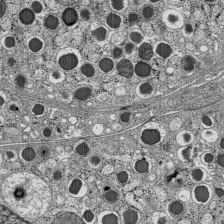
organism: C57BL Mouse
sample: Pancreatic islet